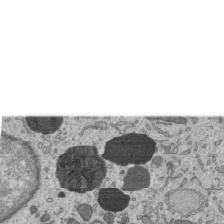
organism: Mouse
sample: Mouse epididymis efferent ductule cilia